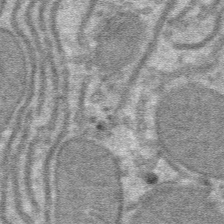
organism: Mouse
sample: Mouse hepatocytes